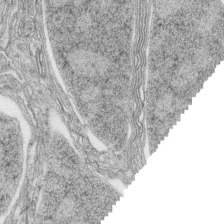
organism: Zebrafish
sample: synaptic ribbons in rod cells and cone cells